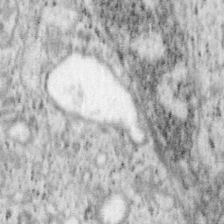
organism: Mouse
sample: OT-I killer T cells with ID8 ovarian cancer cells